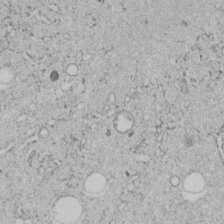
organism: C. elegans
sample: C. elegans embryo early stage